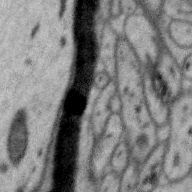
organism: Zebra finch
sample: Brain